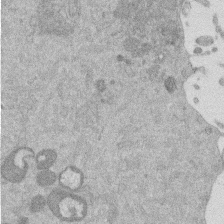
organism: Mouse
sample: Dividing mouse embryo 1 cell stage